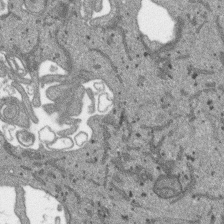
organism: Human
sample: Lung epithelial cells infected with SARS-CoV-2